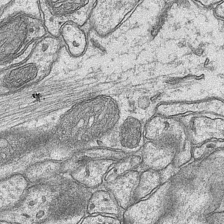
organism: Mouse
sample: CA1 Hippocampus